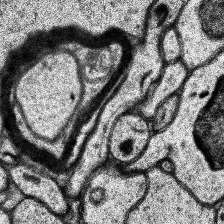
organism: Human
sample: Temporal Lobe